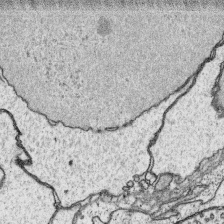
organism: Platynereis dumerilii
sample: Parapodia